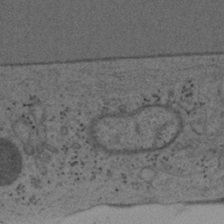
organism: Human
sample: HeLa cells